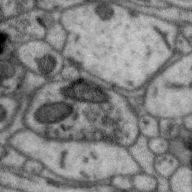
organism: Zebra finch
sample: Brain